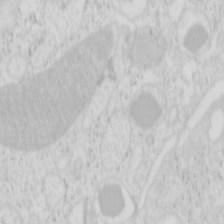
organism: Mouse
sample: Pancreas